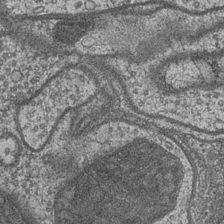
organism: Drosophila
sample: Optic medulla